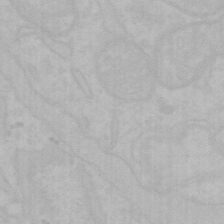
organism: Mouse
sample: Choroid plexus